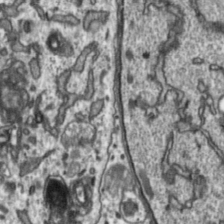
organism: Toxoplasma gondii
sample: Parasites in a vacuole inside a host cell